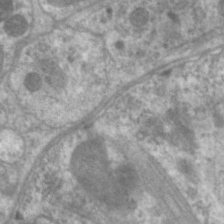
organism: C. elegans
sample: Pharynx